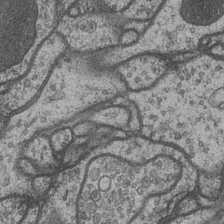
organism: Drosophila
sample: Optic medulla